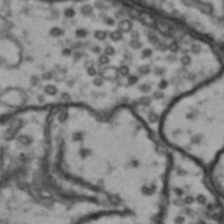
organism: Drosophila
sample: Brain